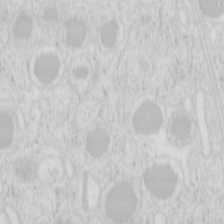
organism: Mouse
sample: Pancreas